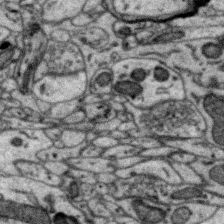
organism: Zebra finch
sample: Brain